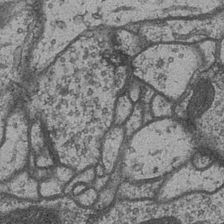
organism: Drosophila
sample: Optic medulla